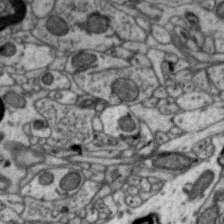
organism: Zebra finch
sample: Brain